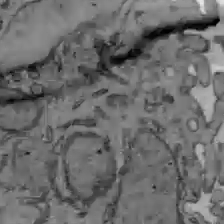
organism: C57BL Mouse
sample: Liver